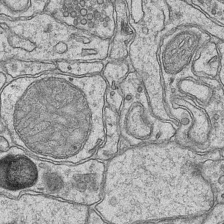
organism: Mouse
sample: CA1 Hippocampus